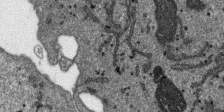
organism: Human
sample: Lung epithelial cells infected with SARS-CoV-2